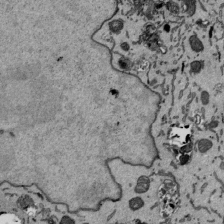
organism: Mouse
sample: ED-1 cell nuclei; centrioles